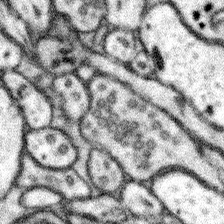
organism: Mouse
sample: Somatosensory cortex neuropil